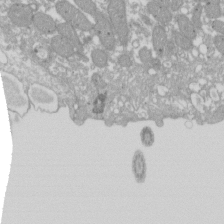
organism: Xenopus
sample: Cilia; centrioles in frog embryo cells